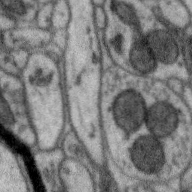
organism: Zebra finch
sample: Brain